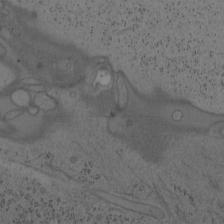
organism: Mouse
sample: OT-I killer T cells with ID8 ovarian cancer cells